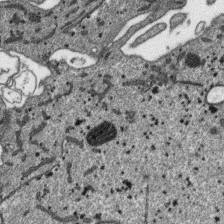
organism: Human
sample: Lung epithelial cells infected with SARS-CoV-2